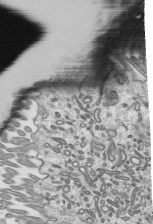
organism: Mouse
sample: Mouse epididymis efferent ductule cilia